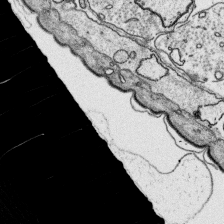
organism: Platynereis dumerilii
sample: Parapodia